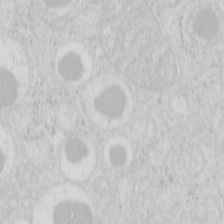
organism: Mouse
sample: Pancreas